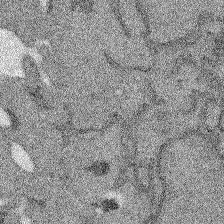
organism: Human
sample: HeLa cells